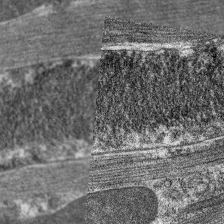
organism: C. elegans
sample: Pharynx